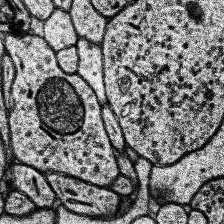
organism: Human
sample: Temporal Lobe